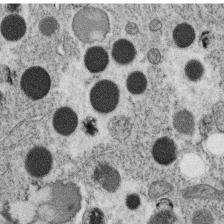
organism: C. elegans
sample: C. elegans oocyte; sperm cells